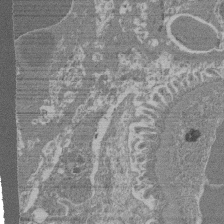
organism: Mouse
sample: Glomerulus